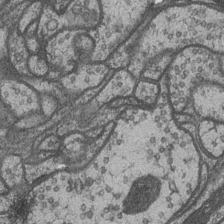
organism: Drosophila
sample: Optic medulla